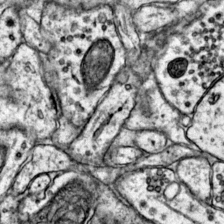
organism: Mouse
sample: Primary visual cortex